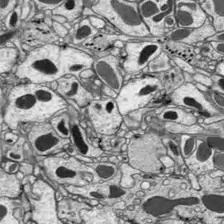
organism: Drosophila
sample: Optic lobe